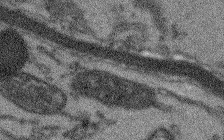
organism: Arabidopsis thaliana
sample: Root tip